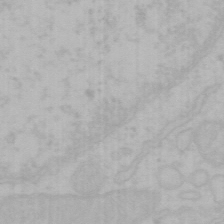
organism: Mouse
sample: Choroid plexus